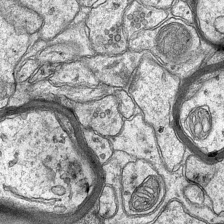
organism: Mouse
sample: CA1 Hippocampus